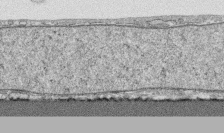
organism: Human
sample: CRL-1474